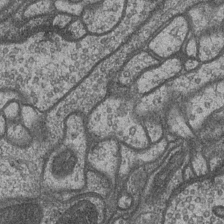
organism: Drosophila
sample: Optic medulla